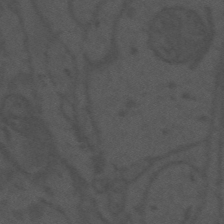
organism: Mouse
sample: Suprachiasmatic nucleus